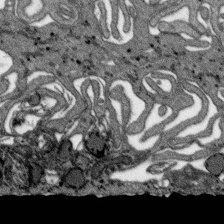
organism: Human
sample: Lung epithelial cells, uninfected (mock) control